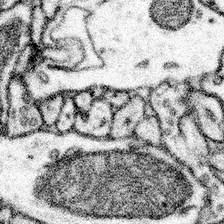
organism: Mouse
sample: Somatosensory cortex neuropil